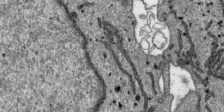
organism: Human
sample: Lung epithelial cells, uninfected (mock) control